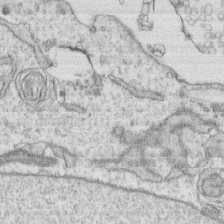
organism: Human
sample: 1205lu cells